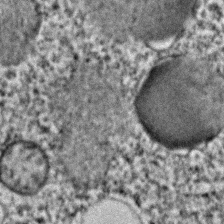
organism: C. elegans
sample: C. elegans embryo